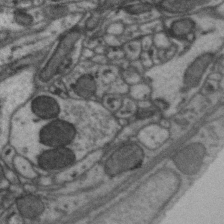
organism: Zebra finch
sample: Brain